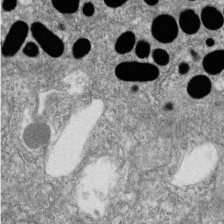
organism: Zebrafish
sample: Cilia; retinal pigment epithelium